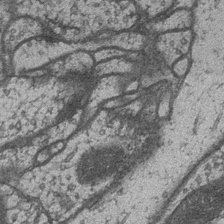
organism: Drosophila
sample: Optic medulla